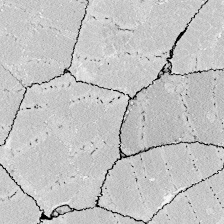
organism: Zebrafish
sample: Whole-Brain